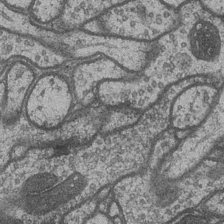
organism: Drosophila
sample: Optic medulla